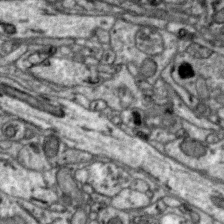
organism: Zebra finch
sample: Brain